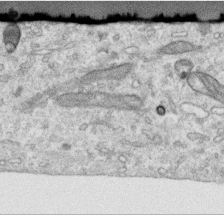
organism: Human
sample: Centriole in RPE cells